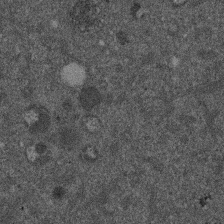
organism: Mouse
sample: Dividing mouse embryo 1 cell stage